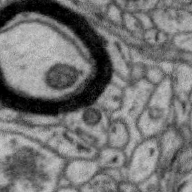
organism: Zebra finch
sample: Brain